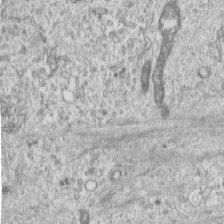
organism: Human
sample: Centriole in RPE cells